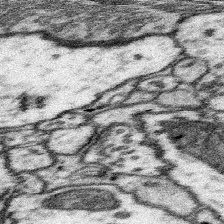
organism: Mouse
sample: Somatosensory cortex neuropil